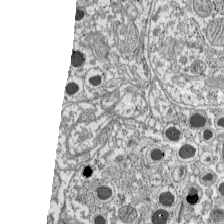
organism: C57BL Mouse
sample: Pancreatic islet